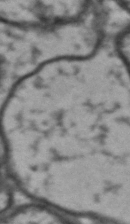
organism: Drosophila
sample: Brain